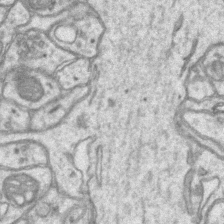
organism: Mouse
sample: CA1 Hippocampus